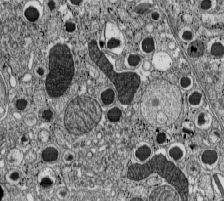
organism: C57BL Mouse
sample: Pancreatic islet